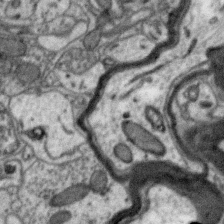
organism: Zebra finch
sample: Brain